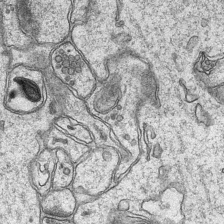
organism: Mouse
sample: CA1 Hippocampus